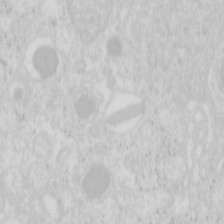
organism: Mouse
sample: Pancreas